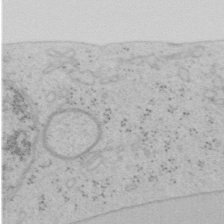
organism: Human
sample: HeLa cells